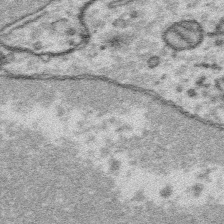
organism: Platynereis dumerilii